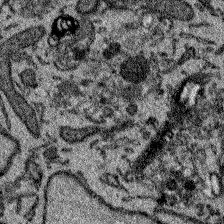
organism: Zebrafish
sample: Larval olfactory bulb